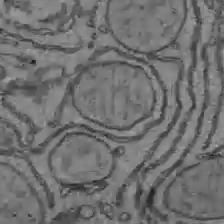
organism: C57BL Mouse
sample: Liver